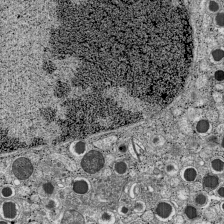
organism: C57BL Mouse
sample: Pancreatic islet